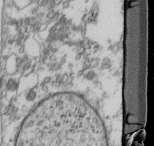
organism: Mouse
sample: Cilia; retinal pigment epithelium